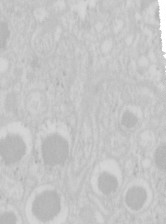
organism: Mouse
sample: Pancreas